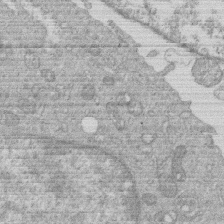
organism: Human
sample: Macrophage cells